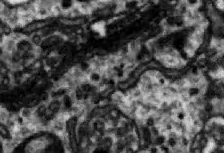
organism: Human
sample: HeLa cells